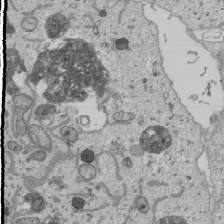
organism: Human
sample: Mitochondria in U2OS cells